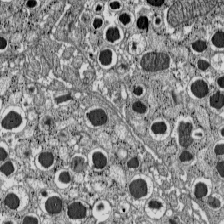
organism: C57BL Mouse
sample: Pancreatic islet